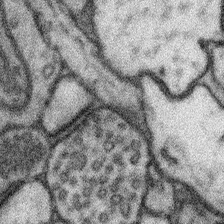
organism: Mouse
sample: Somatosensory cortex neuropil